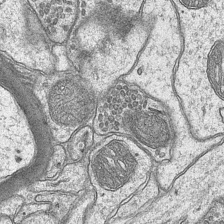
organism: Mouse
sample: CA1 Hippocampus